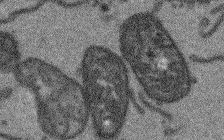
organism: Arabidopsis thaliana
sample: Root tip